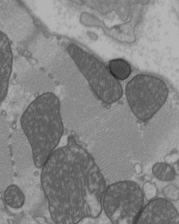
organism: C57BL Mouse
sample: Heart